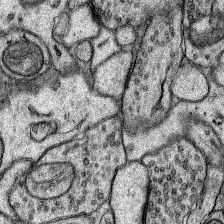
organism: Rat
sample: Hippocampus